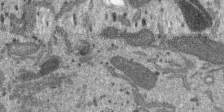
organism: Human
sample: Lung epithelial cells infected with SARS-CoV-2